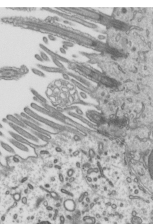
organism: Mouse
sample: Mouse epididymis efferent ductule cilia